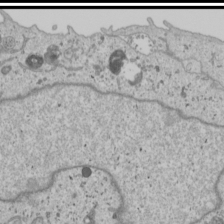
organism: Human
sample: Mitochondria in U2OS cells